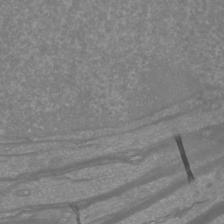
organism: Mouse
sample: Cortical neurons